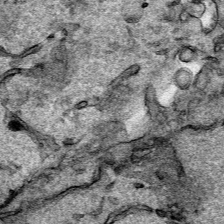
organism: Human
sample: Mitochondria in HCT116 cells